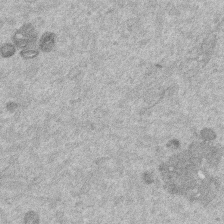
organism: Mouse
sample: Dividing mouse embryo 1 cell stage